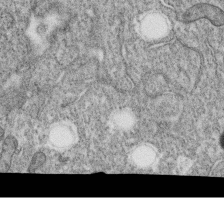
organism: C. elegans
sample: C. elegans oocyte; sperm cells